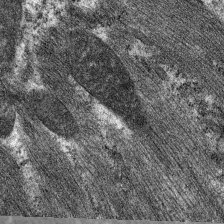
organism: C. elegans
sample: Pharynx